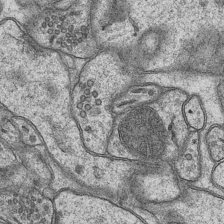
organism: Mouse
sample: CA1 Hippocampus